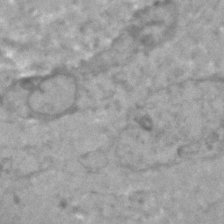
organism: Human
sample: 1205lu cells